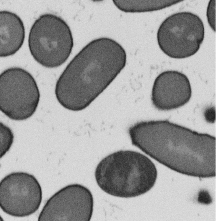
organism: B. subtilis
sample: Bacterial spore